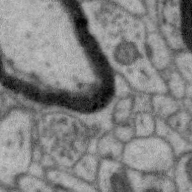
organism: Zebra finch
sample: Brain